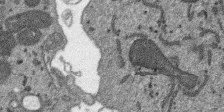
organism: Human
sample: Lung epithelial cells infected with SARS-CoV-2